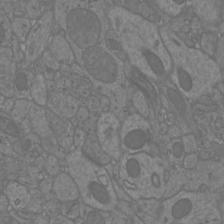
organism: Mouse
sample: Cortical neurons